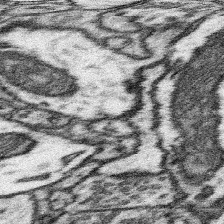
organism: Mouse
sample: Somatosensory cortex neuropil